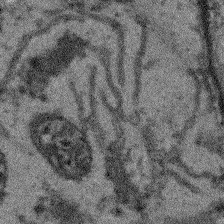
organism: Arabidopsis thaliana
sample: Root tip